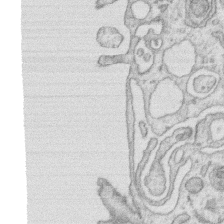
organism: Human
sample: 1205lu cells